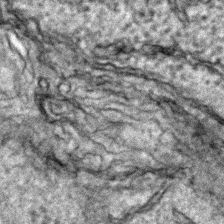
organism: Zebrafish